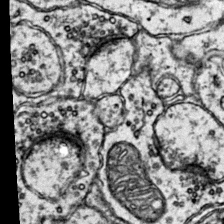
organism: Mouse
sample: Primary visual cortex